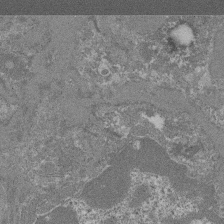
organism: Mouse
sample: Glomerulus